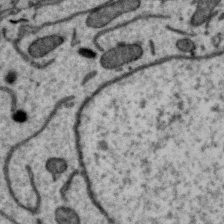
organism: Zebra finch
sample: Brain